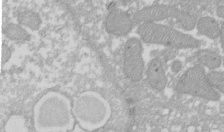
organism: Xenopus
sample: Cilia; centrioles in frog embryo cells